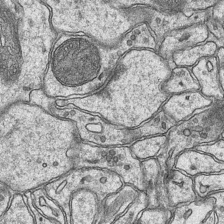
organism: Mouse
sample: CA1 Hippocampus